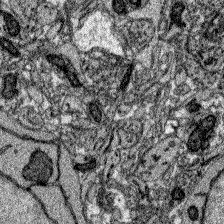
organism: Zebrafish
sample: Larval olfactory bulb